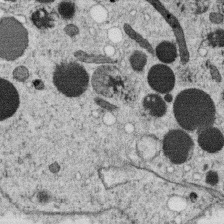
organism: C. elegans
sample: C. elegans oocyte; sperm cells